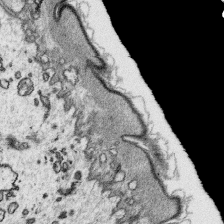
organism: Platynereis dumerilii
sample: Parapodia